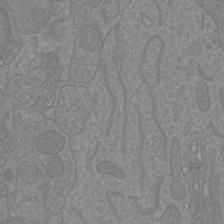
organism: Mouse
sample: Cortical neurons